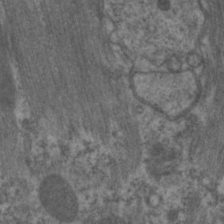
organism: C. elegans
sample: Pharynx